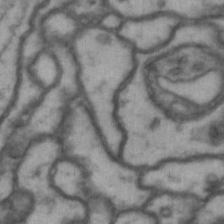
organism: Drosophila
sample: Brain